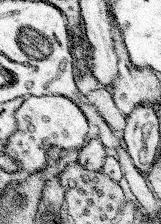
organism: Mouse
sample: Somatosensory cortex neuropil